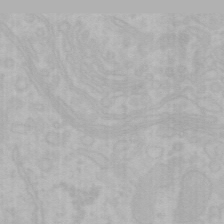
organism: Mouse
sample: Choroid plexus